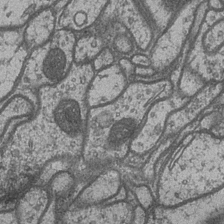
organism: Drosophila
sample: Optic medulla